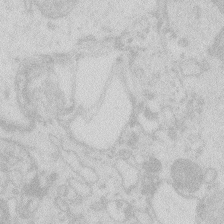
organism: Zebrafish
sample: Macrophage